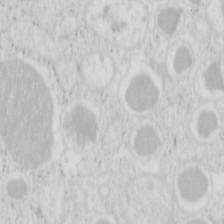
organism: Mouse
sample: Pancreas